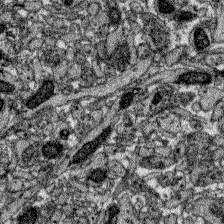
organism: Zebrafish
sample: Larval olfactory bulb